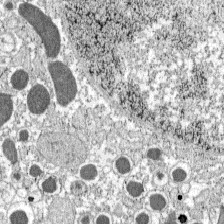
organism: C57BL Mouse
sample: Pancreatic islet